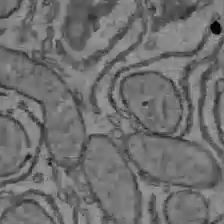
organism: C57BL Mouse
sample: Liver